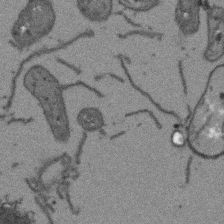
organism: Arabidopsis thaliana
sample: Root tip